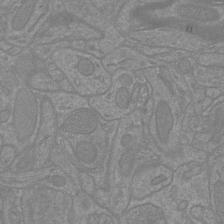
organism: Mouse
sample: Cortical neurons